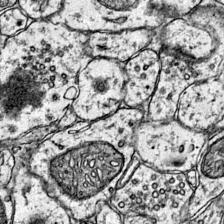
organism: Mouse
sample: Primary visual cortex